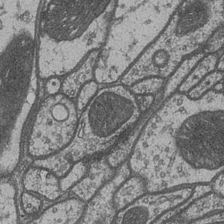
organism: Drosophila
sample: Optic medulla